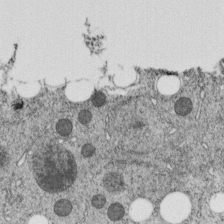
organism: C. elegans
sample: C. elegans embryo early stage